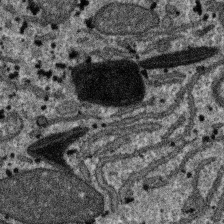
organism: Human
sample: Lung epithelial cells infected with SARS-CoV-2